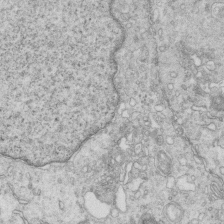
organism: Mouse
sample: Multiciliated cells